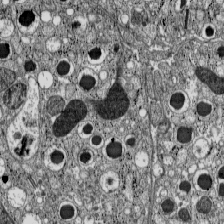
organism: C57BL Mouse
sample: Pancreatic islet